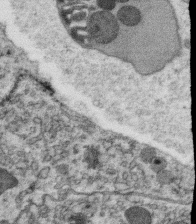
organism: C. elegans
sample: C. elegans oocyte; sperm cells